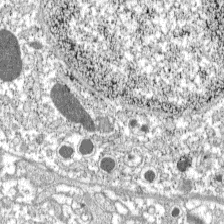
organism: C57BL Mouse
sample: Pancreatic islet